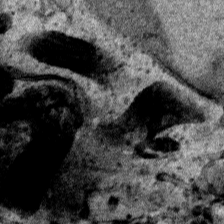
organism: Human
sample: Mitochondria in HCT116 cells